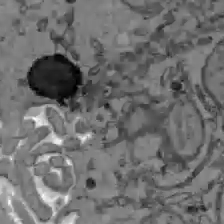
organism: C57BL Mouse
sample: Liver